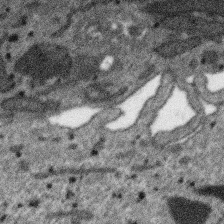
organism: Human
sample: Lung epithelial cells infected with SARS-CoV-2